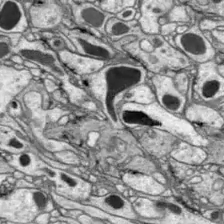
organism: Drosophila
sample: Optic lobe